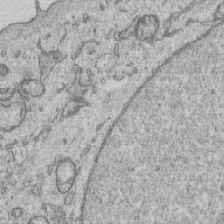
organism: Human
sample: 1205lu cells